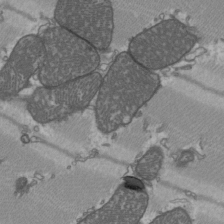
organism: C57BL Mouse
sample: Heart